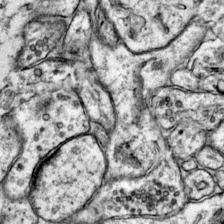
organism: Mouse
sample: Primary visual cortex